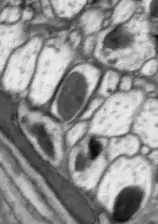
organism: Drosophila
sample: Optic lobe